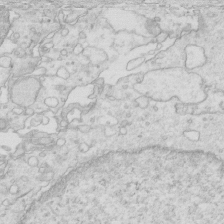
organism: Mouse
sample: Multiciliated cells